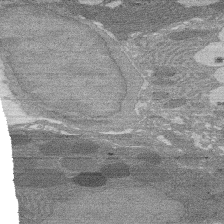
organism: Rat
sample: Salivary granule